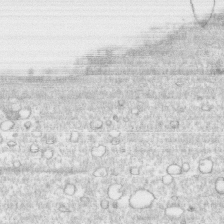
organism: Human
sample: CRL-1474